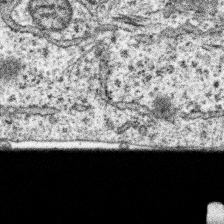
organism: Human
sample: HeLa cells